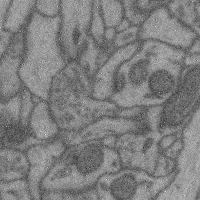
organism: Mouse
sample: Cerebral cortex